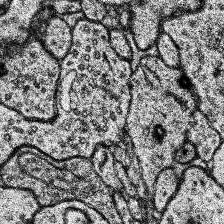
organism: Human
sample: Temporal Lobe